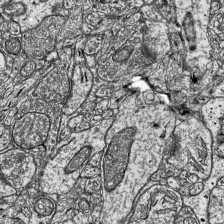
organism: Mouse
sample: Visual Cortex